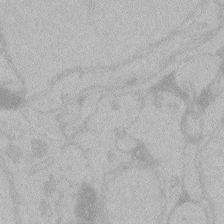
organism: Zebrafish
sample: Macrophage infected with Toxoplasma gondii